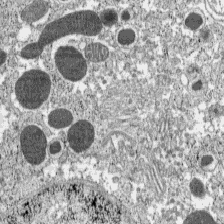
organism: C57BL Mouse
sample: Pancreatic islet